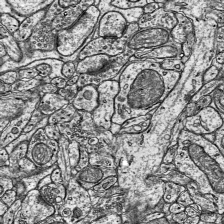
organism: Mouse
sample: Visual Cortex